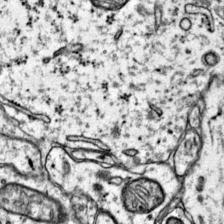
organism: Mouse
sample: Primary visual cortex